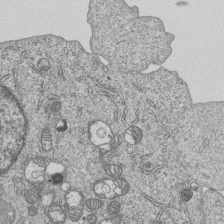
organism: Human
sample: MDA-MB-231 cells